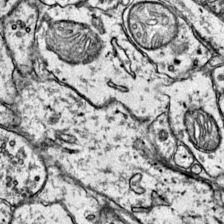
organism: Mouse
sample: Primary visual cortex